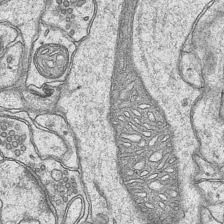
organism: Mouse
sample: CA1 Hippocampus